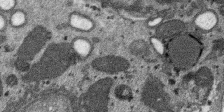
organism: Human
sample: Lung epithelial cells infected with SARS-CoV-2